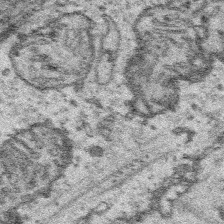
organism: Platynereis dumerilii